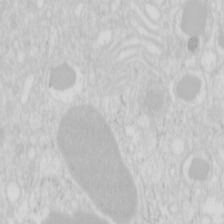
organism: Mouse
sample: Pancreas